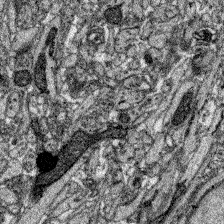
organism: Zebrafish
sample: Larval olfactory bulb